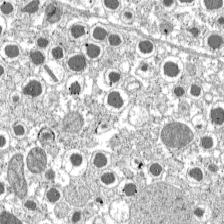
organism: C57BL Mouse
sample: Pancreatic islet